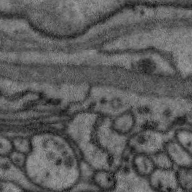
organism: Zebra finch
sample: Brain